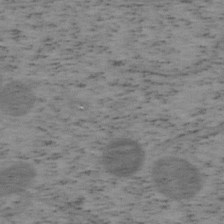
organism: Mouse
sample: OT-I killer T cells with ID8 ovarian cancer cells